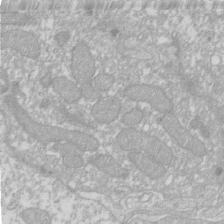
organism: Xenopus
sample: Cilia; centrioles in frog embryo cells